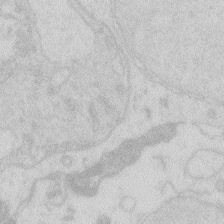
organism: Zebrafish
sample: Macrophage